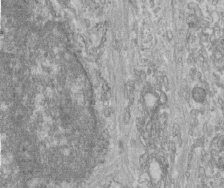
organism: Human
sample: Centriole in fibroblast cells